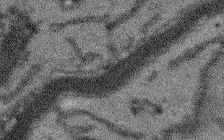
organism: Arabidopsis thaliana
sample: Root tip